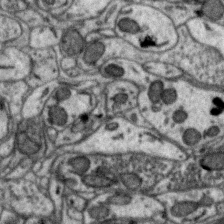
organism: Zebra finch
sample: Brain